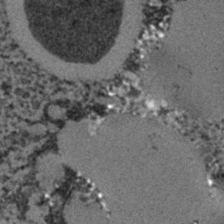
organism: C. elegans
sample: C. elegans embryo